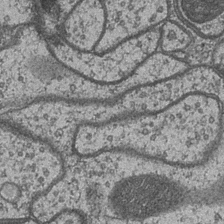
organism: Drosophila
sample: Optic medulla